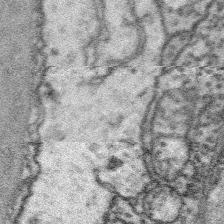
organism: Platynereis dumerilii